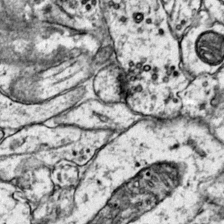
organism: Mouse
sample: Primary visual cortex